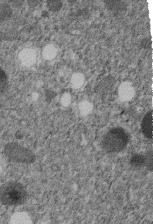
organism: C. elegans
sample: C. elegans embryo early stage